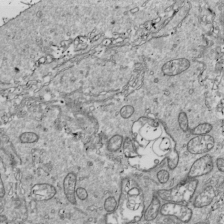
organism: Drosophila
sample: Cell division; meiosis; drosophila spermatocytes